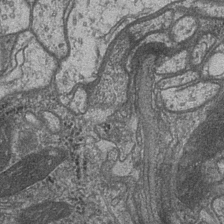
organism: Drosophila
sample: Optic medulla